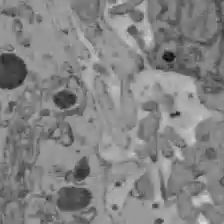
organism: C57BL Mouse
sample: Liver